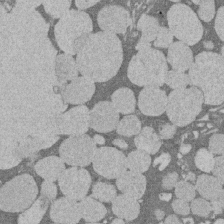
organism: Rat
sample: Salivary granule